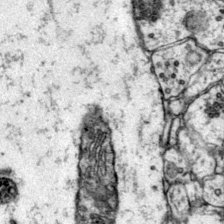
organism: Mouse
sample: Primary visual cortex